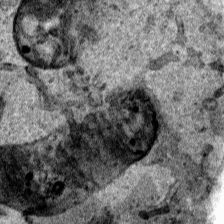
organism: Human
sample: Mitochondria in HCT116 cells